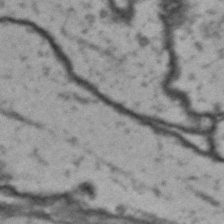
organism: Drosophila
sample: Brain